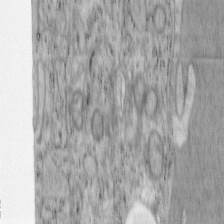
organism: Human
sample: HeLa cells